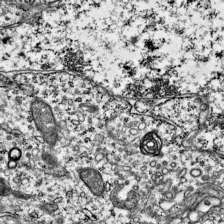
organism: Mouse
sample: Visual Cortex